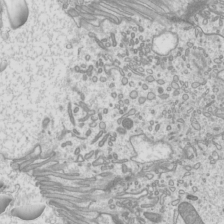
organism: Mouse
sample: Cilia; mouse epididymis